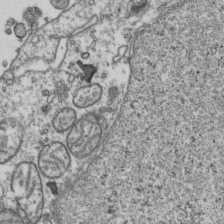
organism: Human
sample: Activated Jurkat CD4+ T cells